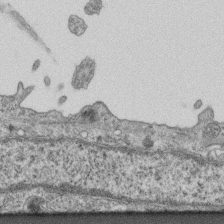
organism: Mouse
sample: Centriole in ependymal cells